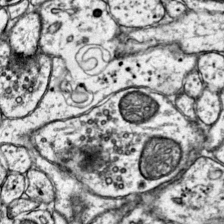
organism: Mouse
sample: Primary visual cortex